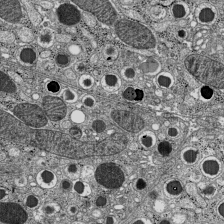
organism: C57BL Mouse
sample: Pancreatic islet